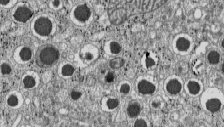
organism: C57BL Mouse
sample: Pancreatic islet